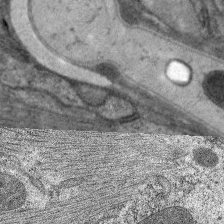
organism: C. elegans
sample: Pharynx